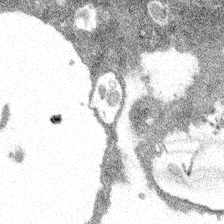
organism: Spongilla lacustris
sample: Multiple